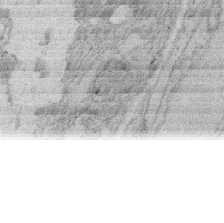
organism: Rat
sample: Salivary granule